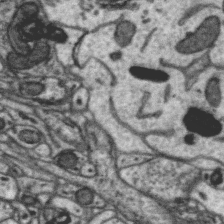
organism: Zebra finch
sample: Brain